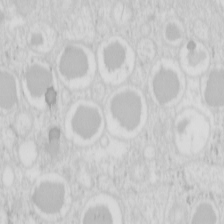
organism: Mouse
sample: Pancreas